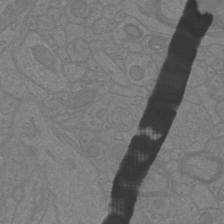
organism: Mouse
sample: Cortical neurons